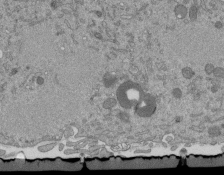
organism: Mouse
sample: ED-1 cell nuclei; centrioles